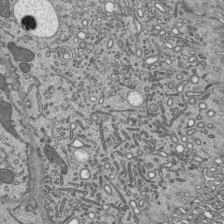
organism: Mouse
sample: Mouse epididymis efferent ductule cilia